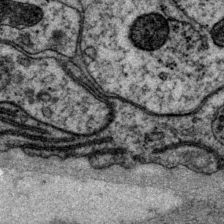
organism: P. pacificus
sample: Pharynx